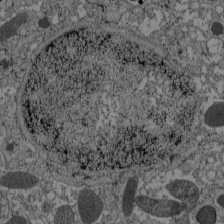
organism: C57BL Mouse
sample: Pancreatic islet